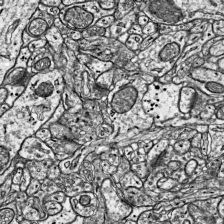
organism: Mouse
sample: Visual Cortex